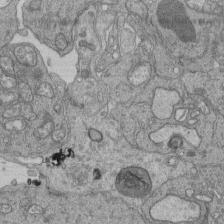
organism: Human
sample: Retinal organoid Rod and Cone cells